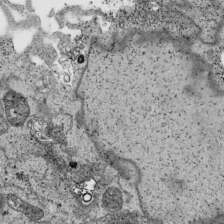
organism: Human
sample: Mitochondria in HCT116 cells